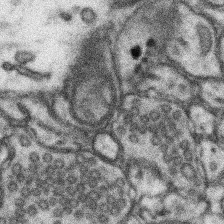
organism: Mouse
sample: Somatosensory cortex neuropil